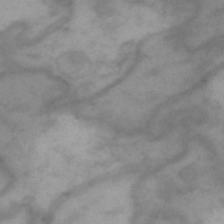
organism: Drosophila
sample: Brain